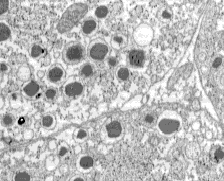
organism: C57BL Mouse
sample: Pancreatic islet